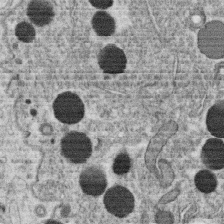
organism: C. elegans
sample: C. elegans oocyte; sperm cells